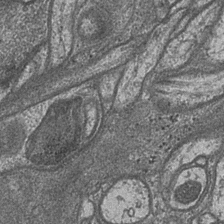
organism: Drosophila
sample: Optic medulla